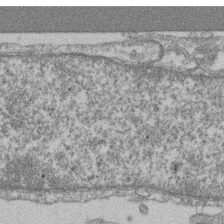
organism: Mouse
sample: T cell stromal cell synapse